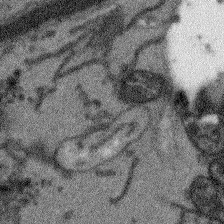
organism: Arabidopsis thaliana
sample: Root tip